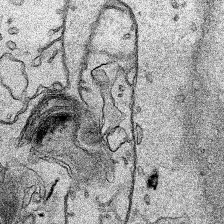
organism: Human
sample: Mitochondria in HCT116 cells